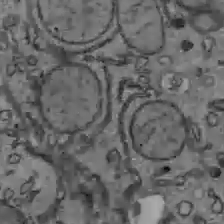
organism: C57BL Mouse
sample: Liver